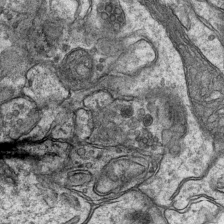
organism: Mouse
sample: CA1 Hippocampus